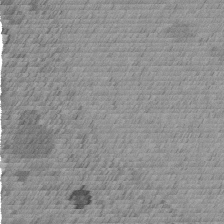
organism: C. elegans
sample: C. elegans embryo early stage